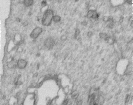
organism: Human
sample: Centriole in RPE cells